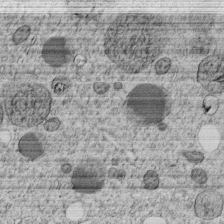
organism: C. elegans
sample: C. elegans embryo early stage